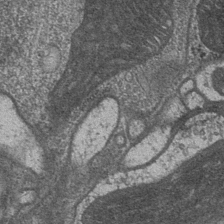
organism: Drosophila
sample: Optic medulla